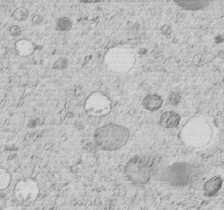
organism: C. elegans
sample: C. elegans embryo early stage